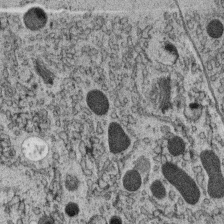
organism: C. elegans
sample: C. elegans oocyte; sperm cells